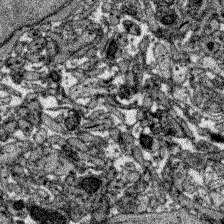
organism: Zebrafish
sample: Larval olfactory bulb